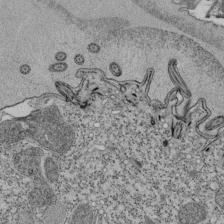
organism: Tetrahymena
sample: Cilia in tetrahymena